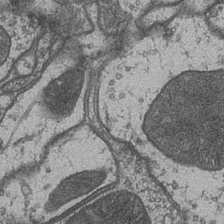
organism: Drosophila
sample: Optic medulla